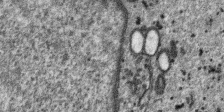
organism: Human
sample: Lung epithelial cells infected with SARS-CoV-2